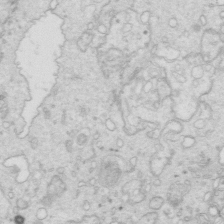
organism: Mouse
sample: Multiciliated cells